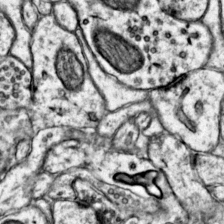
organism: Mouse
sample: Primary visual cortex